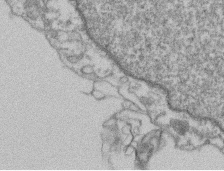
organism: Mouse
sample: T cell stromal cell synapse